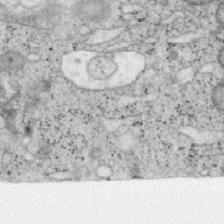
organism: Mouse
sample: OT-I killer T cells with ID8 ovarian cancer cells